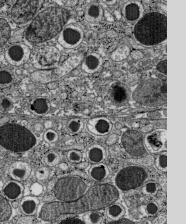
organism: C57BL Mouse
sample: Pancreatic islet